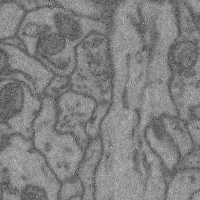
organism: Mouse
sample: Cerebral cortex